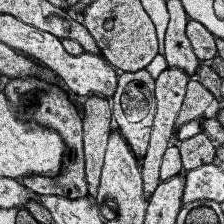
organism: Human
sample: Temporal Lobe